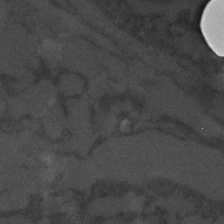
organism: C. elegans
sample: C. elegans embryo